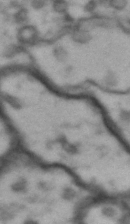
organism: Drosophila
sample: Brain